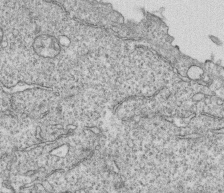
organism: Human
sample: HeLa cell HIV synapse